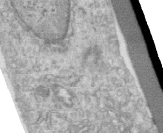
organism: Human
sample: Centriole in RPE cells